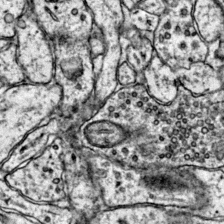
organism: Mouse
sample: Primary visual cortex